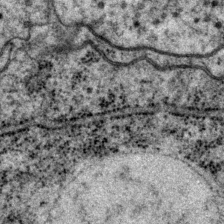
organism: P. pacificus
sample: Pharynx